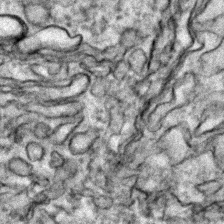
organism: Zebrafish